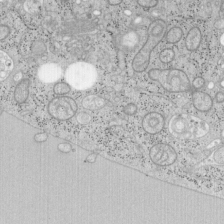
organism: Mouse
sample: OT-I killer T cells with ID8 ovarian cancer cells